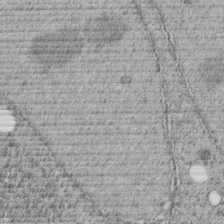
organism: C. elegans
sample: C. elegans embryo early stage